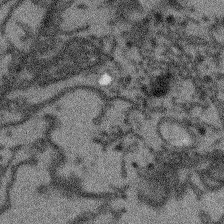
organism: Arabidopsis thaliana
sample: Root tip